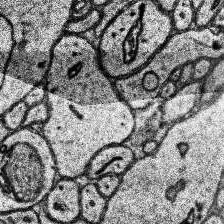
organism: Human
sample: Temporal Lobe